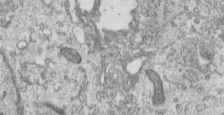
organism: Human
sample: Centriole in RPE cells